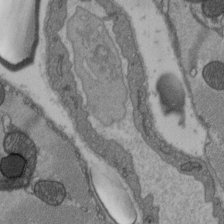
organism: C57BL Mouse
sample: Heart